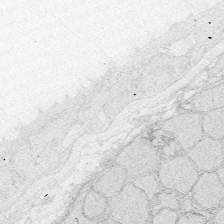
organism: Zebrafish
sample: Whole-Brain